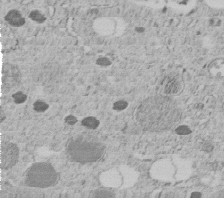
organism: C. elegans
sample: C. elegans embryo early stage